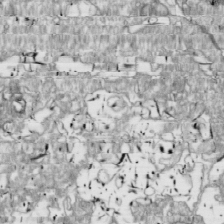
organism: Drosophila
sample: Cell division; meiosis; drosophila spermatocytes